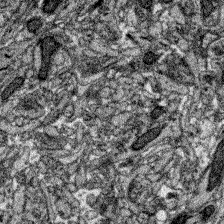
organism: Zebrafish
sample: Larval olfactory bulb